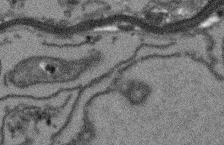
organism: Arabidopsis thaliana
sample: Root tip